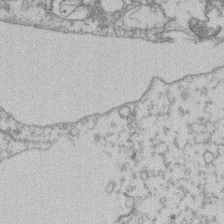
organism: Mouse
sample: T cell stromal cell synapse